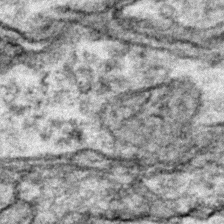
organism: Zebrafish